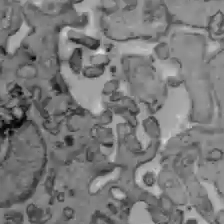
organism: C57BL Mouse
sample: Liver